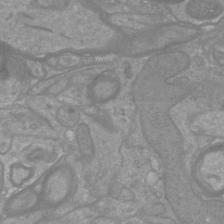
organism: Mouse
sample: Cortical neurons